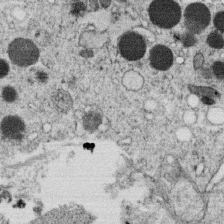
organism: C. elegans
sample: C. elegans oocyte; sperm cells